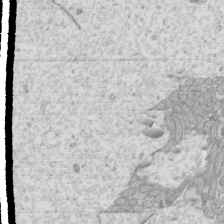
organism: Mouse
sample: Cilia; mouse epididymis